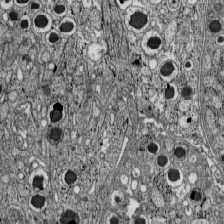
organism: C57BL Mouse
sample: Pancreatic islet